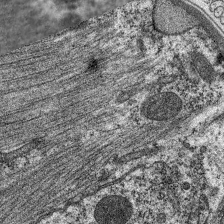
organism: C. elegans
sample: Pharynx